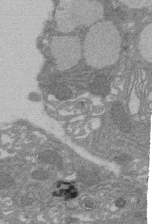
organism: Rat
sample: Salivary granule